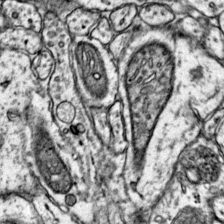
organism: Mouse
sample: Primary visual cortex